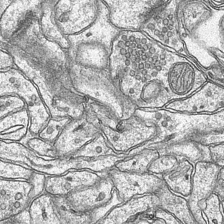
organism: Mouse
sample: CA1 Hippocampus